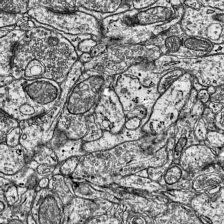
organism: Mouse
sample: Visual Cortex